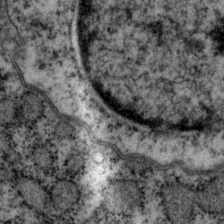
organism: P. pacificus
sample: Pharynx